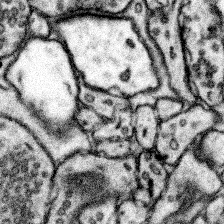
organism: Mouse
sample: Somatosensory cortex neuropil